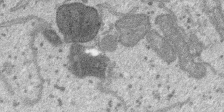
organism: Human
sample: Lung epithelial cells infected with SARS-CoV-2